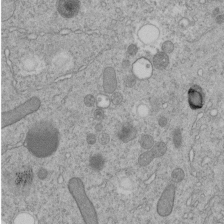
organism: C. elegans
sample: C. elegans embryo early stage